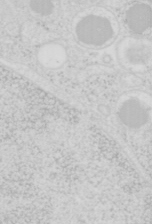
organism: Mouse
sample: Pancreas